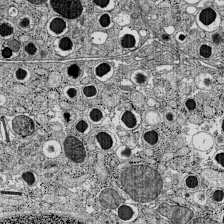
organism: C57BL Mouse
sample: Pancreatic islet